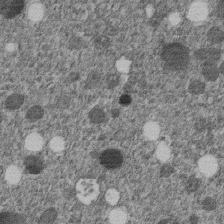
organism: C. elegans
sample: C. elegans embryo early stage